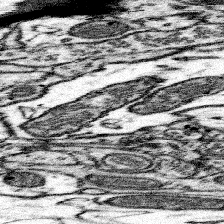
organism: Mouse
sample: Somatosensory cortex neuropil